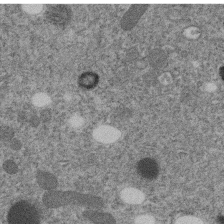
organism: C. elegans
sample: C. elegans embryo early stage